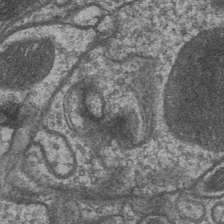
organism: Drosophila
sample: Optic medulla